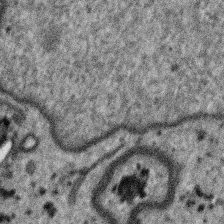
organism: Human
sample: Lung epithelial cells infected with SARS-CoV-2